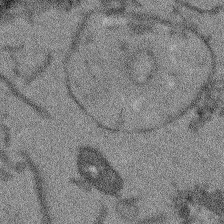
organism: Arabidopsis thaliana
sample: Root tip